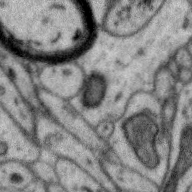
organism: Zebra finch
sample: Brain